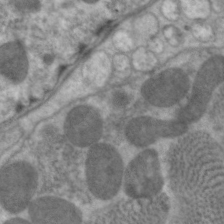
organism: C. elegans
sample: Pharynx